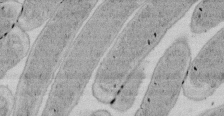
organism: E. coli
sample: Bacterial nucleoid